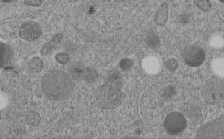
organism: C. elegans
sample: C. elegans embryo early stage